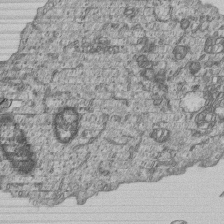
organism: Human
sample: MDA-MB-231 cells